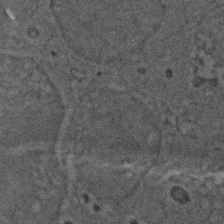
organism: Zebrafish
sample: Zebrafish embryo